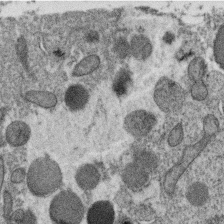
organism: C. elegans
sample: C. elegans oocyte; sperm cells